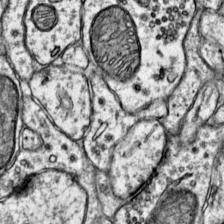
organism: Mouse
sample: Primary visual cortex